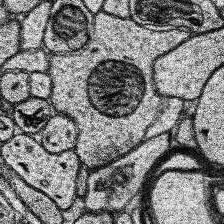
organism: Human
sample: Temporal Lobe